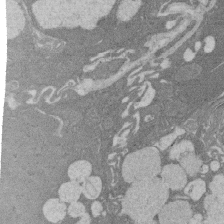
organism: Rat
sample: Salivary granule